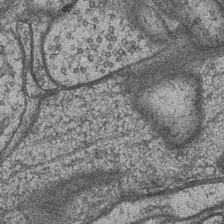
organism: Drosophila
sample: Optic medulla